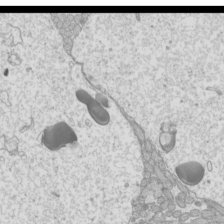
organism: Mouse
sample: Cilia; mouse epididymis